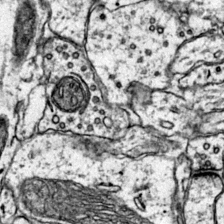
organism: Mouse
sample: Primary visual cortex